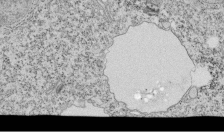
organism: Tetrahymena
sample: Cilia in tetrahymena